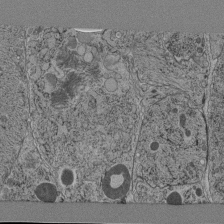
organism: C. elegans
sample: C. elegans pharynx